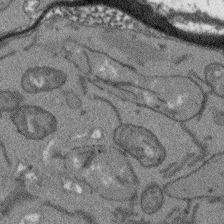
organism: Arabidopsis thaliana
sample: Root tip